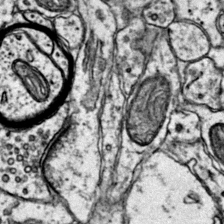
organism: Mouse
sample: Primary visual cortex